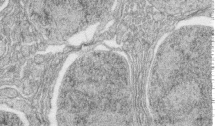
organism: Zebrafish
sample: synaptic ribbons in rod cells and cone cells